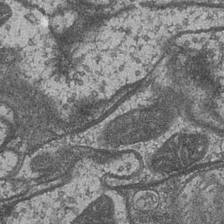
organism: Drosophila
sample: Optic medulla